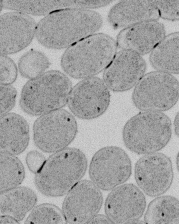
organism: E. coli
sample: Bacterial nucleoid